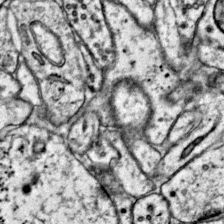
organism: Mouse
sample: Primary visual cortex